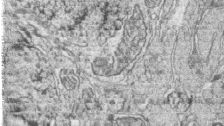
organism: Zebrafish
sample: synaptic ribbons in rod cells and cone cells